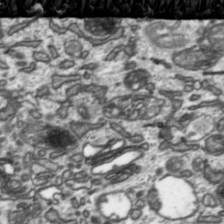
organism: Toxoplasma gondii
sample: Parasites in a vacuole inside a host cell